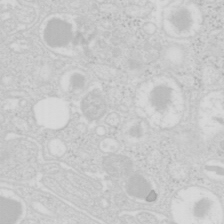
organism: Mouse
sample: Pancreas